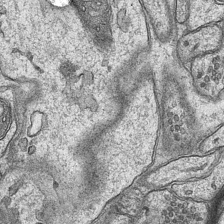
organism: Mouse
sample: CA1 Hippocampus